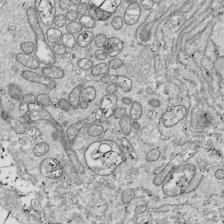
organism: Drosophila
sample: Cell division; meiosis; drosophila spermatocytes